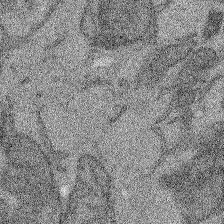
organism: Human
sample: HeLa cells